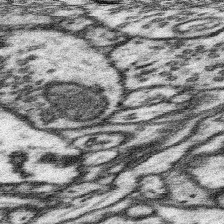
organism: Mouse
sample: Somatosensory cortex neuropil